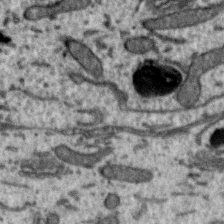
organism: Zebra finch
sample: Brain